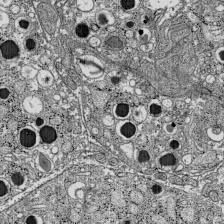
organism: C57BL Mouse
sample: Pancreatic islet